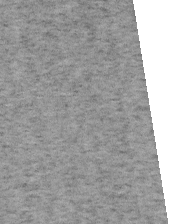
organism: Mouse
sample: OT-I killer T cells with ID8 ovarian cancer cells